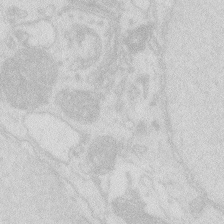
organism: Zebrafish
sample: Macrophage